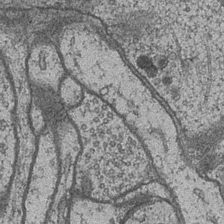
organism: Drosophila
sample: Optic medulla